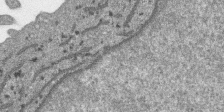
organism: Human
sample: Lung epithelial cells infected with SARS-CoV-2